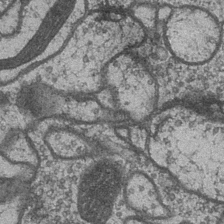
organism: Drosophila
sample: Optic medulla